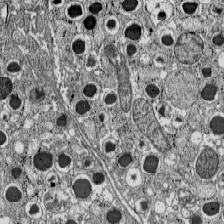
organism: C57BL Mouse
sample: Pancreatic islet